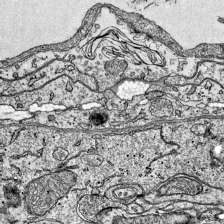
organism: Mouse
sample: Visual Cortex